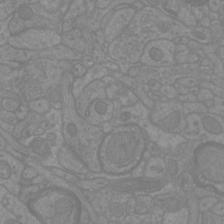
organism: Mouse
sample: Cortical neurons